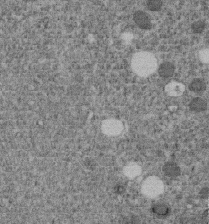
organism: C. elegans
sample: C. elegans embryo early stage